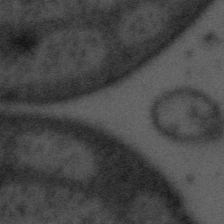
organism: Tuwongella immobilis